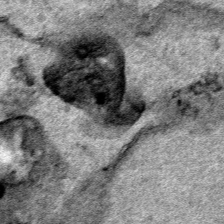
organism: Human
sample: Mitochondria in HCT116 cells